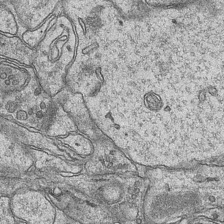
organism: Mouse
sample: CA1 Hippocampus